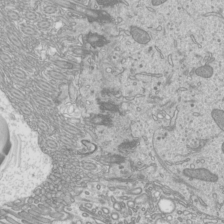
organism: Mouse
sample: Cilia; mouse epididymis